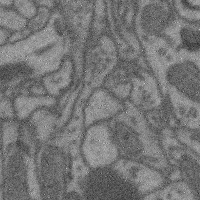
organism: Mouse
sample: Cerebral cortex